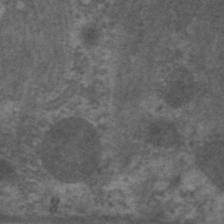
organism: C. elegans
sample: Pharynx